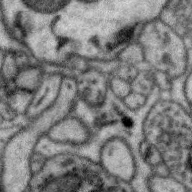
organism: Zebra finch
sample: Brain